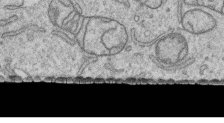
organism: Human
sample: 1205lu cells